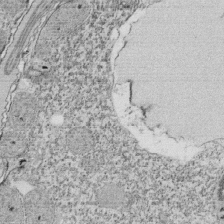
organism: Tetrahymena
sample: Cilia in tetrahymena